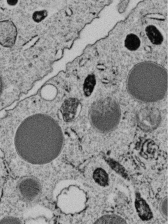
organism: C. elegans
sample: C. elegans embryo early stage